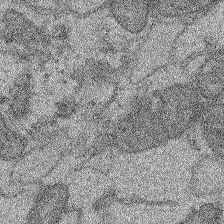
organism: Human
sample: HeLa cells